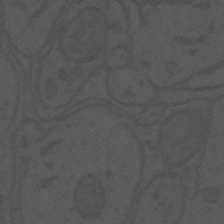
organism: Mouse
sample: Suprachiasmatic nucleus